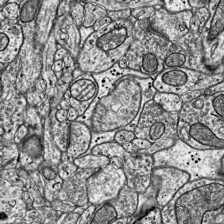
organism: Mouse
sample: Visual Cortex